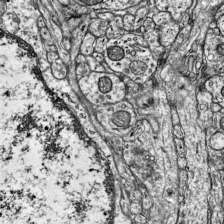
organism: Mouse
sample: Visual Cortex